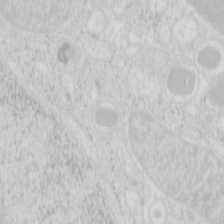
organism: Mouse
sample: Pancreas